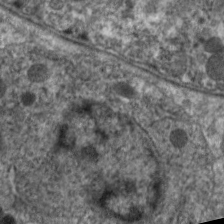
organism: C. elegans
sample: Pharynx